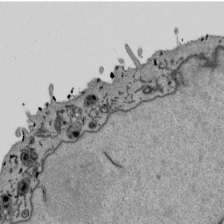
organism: Mouse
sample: ED-1 cell nuclei; centrioles